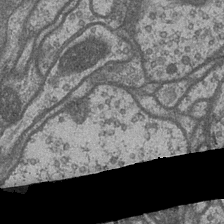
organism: Drosophila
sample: Optic medulla